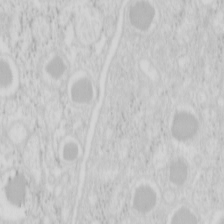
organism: Mouse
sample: Pancreas